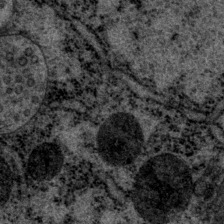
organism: P. pacificus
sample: Pharynx